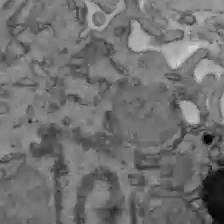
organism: C57BL Mouse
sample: Liver